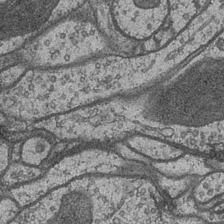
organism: Drosophila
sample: Optic medulla